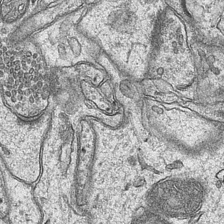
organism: Mouse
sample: CA1 Hippocampus